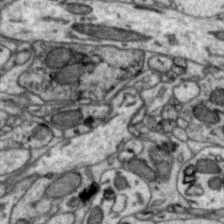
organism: Zebra finch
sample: Brain